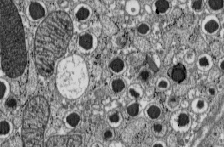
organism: C57BL Mouse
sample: Pancreatic islet